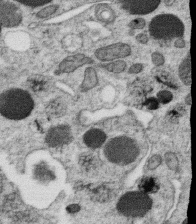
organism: C. elegans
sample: C. elegans oocyte; sperm cells